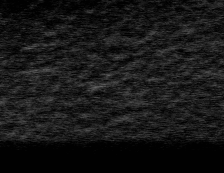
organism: Human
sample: HeLa cells